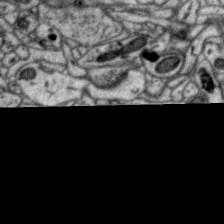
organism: Zebra finch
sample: Brain